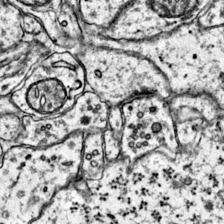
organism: Mouse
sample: Primary visual cortex